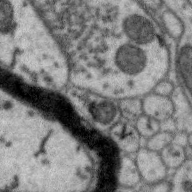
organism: Zebra finch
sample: Brain